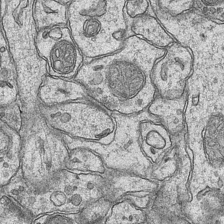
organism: Mouse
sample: CA1 Hippocampus